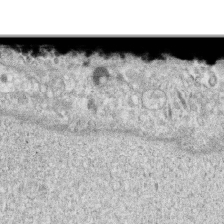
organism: Human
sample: HeLa cell HIV synapse